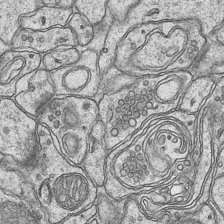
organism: Mouse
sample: CA1 Hippocampus